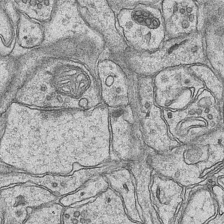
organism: Mouse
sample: CA1 Hippocampus